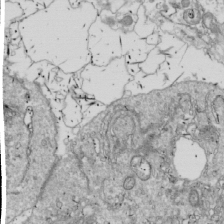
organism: Drosophila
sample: Cell division; meiosis; drosophila spermatocytes